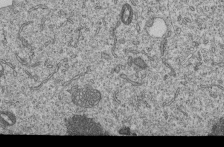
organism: Human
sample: MDA-MB-231 cells